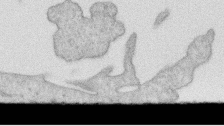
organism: Human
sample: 1205lu cells